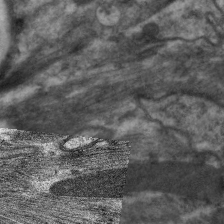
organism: C. elegans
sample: Pharynx